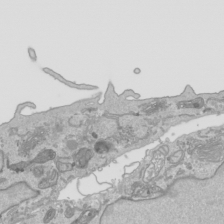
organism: Human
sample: Mitochondria in HCT116 cells